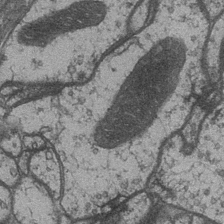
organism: Drosophila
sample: Optic medulla